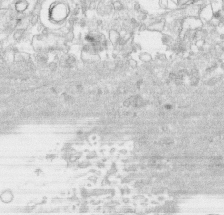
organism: Human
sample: CRL-1474